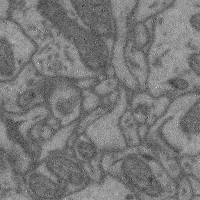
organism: Mouse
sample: Cerebral cortex